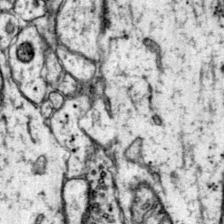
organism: Mouse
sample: Primary visual cortex